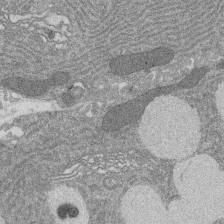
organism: Rat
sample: Salivary granule